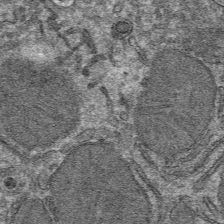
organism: Mouse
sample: Mouse hepatocytes